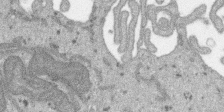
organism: Human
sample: Lung epithelial cells infected with SARS-CoV-2